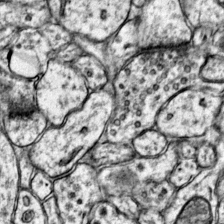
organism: Mouse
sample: Primary visual cortex